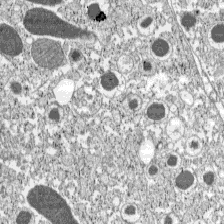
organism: C57BL Mouse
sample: Pancreatic islet